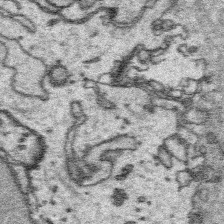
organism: Platynereis dumerilii